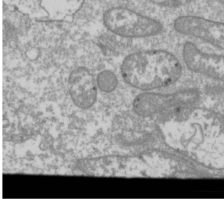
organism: Drosophila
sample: Cell division; meiosis; drosophila spermatocytes